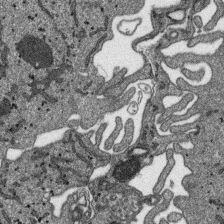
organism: Human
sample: Lung epithelial cells infected with SARS-CoV-2